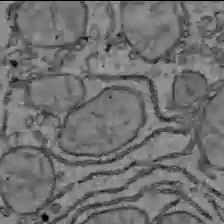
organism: C57BL Mouse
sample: Liver